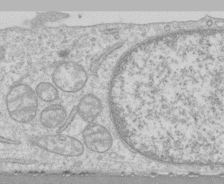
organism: Human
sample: CRL-1474